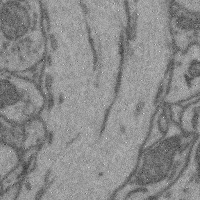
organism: Mouse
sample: Cerebral cortex